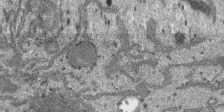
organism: Human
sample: Lung epithelial cells infected with SARS-CoV-2